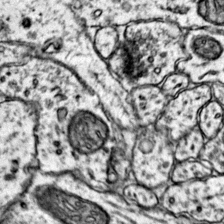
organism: Mouse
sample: Primary visual cortex